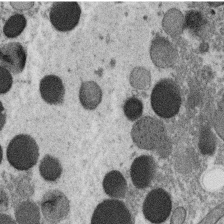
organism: C. elegans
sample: C. elegans oocyte; sperm cells